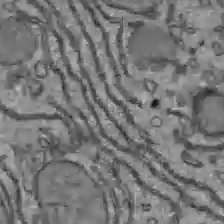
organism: C57BL Mouse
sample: Liver